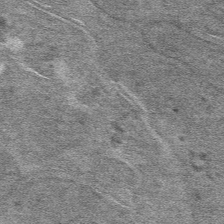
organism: Mouse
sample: Mouse hepatocytes